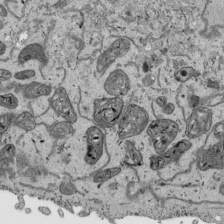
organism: Human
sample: Mitochondria in HCT116 cells